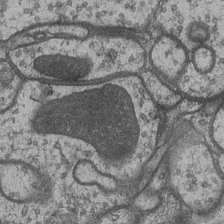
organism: Drosophila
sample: Optic medulla